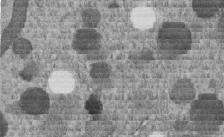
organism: C. elegans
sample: C. elegans embryo early stage